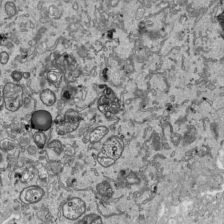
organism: Human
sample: Mitochondria in HCT116 cells